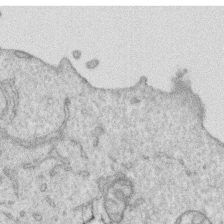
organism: Human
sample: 1205lu cells